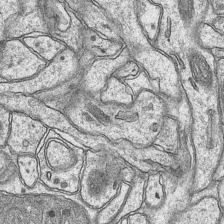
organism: Mouse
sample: CA1 Hippocampus